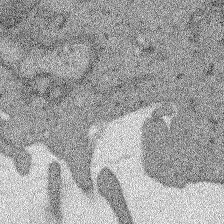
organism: Human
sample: HeLa cells